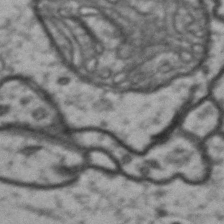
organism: Drosophila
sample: Brain